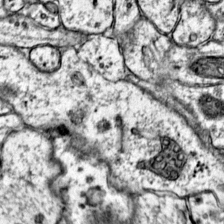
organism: Mouse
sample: Primary visual cortex